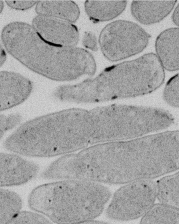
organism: E. coli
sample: Bacterial nucleoid